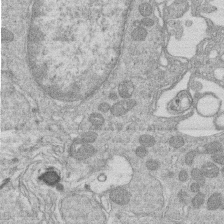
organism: Human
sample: Macrophage cells